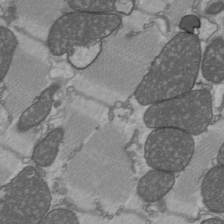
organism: C57BL Mouse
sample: Heart